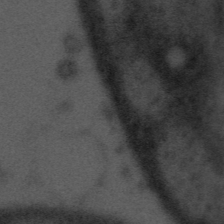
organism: Tuwongella immobilis